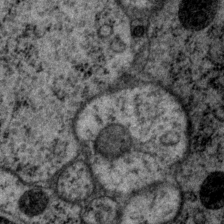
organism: P. pacificus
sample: Pharynx